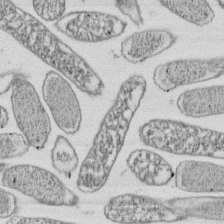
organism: E. coli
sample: Bacterial nucleoid